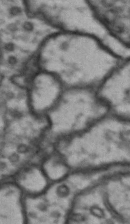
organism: Drosophila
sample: Brain